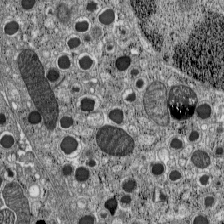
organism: C57BL Mouse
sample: Pancreatic islet